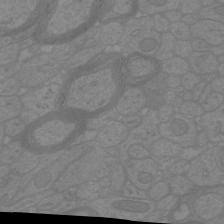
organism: Mouse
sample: Cortical neurons